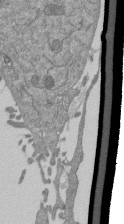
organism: Mouse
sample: ED-1 cell nuclei; centrioles